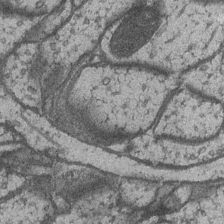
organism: Drosophila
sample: Optic medulla